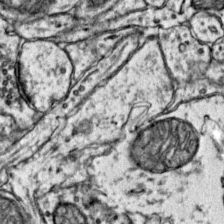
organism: Mouse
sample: Primary visual cortex